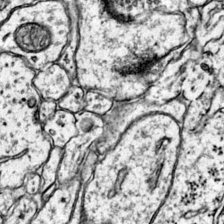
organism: Mouse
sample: Primary visual cortex